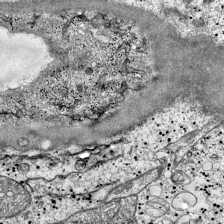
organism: Mouse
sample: Visual Cortex